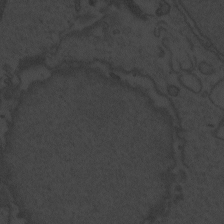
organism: Zebrafish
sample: Macrophage infected with Toxoplasma gondii